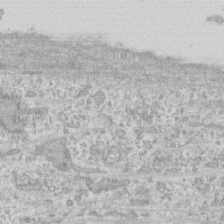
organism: Human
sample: CRL-1474